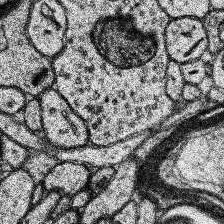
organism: Human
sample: Temporal Lobe